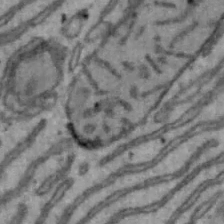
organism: Mouse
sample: Liver